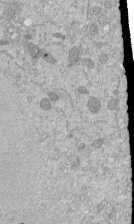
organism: Mouse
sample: ED-1 cell nuclei; centrioles